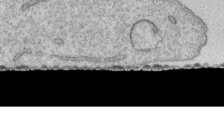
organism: Human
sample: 1205lu cells